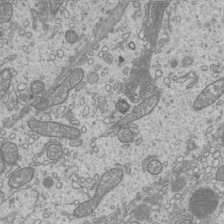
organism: Mouse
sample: Cilia; mouse epididymis